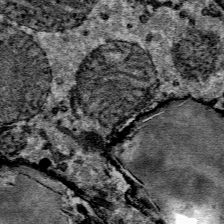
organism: Mouse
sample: Mouse Salivary gland